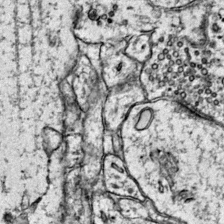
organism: Mouse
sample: Primary visual cortex